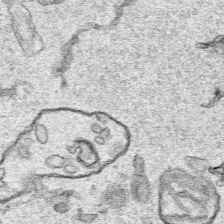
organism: Human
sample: Mitochondria in HCT116 cells